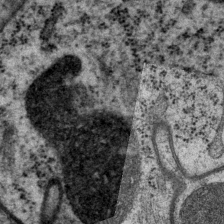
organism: P. pacificus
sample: Pharynx